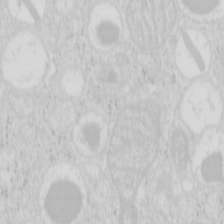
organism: Mouse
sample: Pancreas